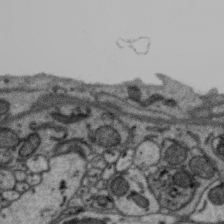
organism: Zebra finch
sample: Brain